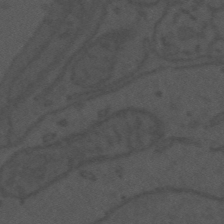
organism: Mouse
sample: Suprachiasmatic nucleus